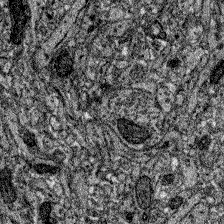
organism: Zebrafish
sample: Larval olfactory bulb